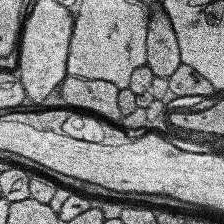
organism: Human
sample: Temporal Lobe